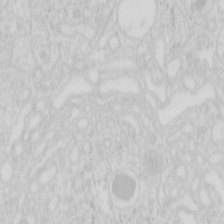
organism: Mouse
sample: Pancreas